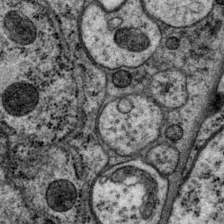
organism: P. pacificus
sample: Pharynx